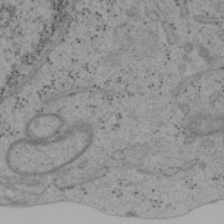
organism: Human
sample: HeLa cells